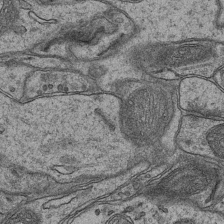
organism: Mouse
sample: CA1 Hippocampus